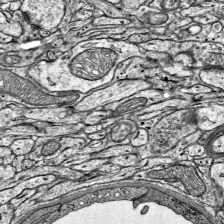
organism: Mouse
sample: Visual Cortex